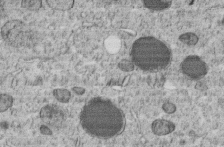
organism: C. elegans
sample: C. elegans embryo early stage